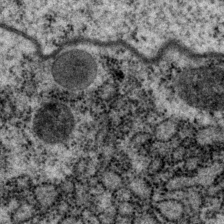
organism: P. pacificus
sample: Pharynx